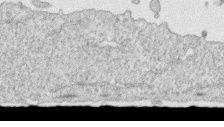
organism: Human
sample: HeLa cell HIV synapse